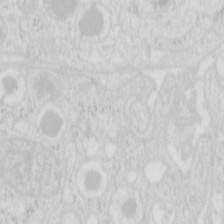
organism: Mouse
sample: Pancreas